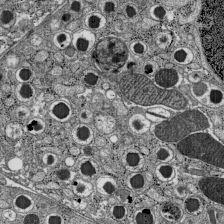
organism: C57BL Mouse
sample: Pancreatic islet